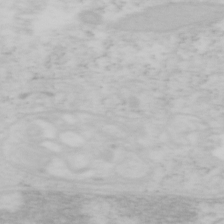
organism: Mouse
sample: OT-I killer T cells with ID8 ovarian cancer cells